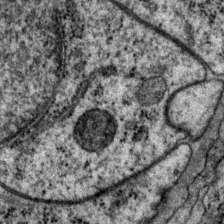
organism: P. pacificus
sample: Pharynx